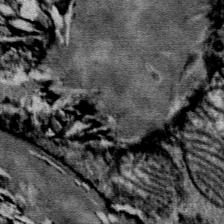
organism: Mouse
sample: Mouse Salivary gland